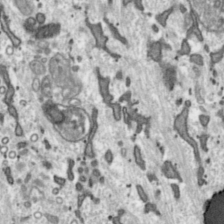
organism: Toxoplasma gondii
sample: Parasites in a vacuole inside a host cell